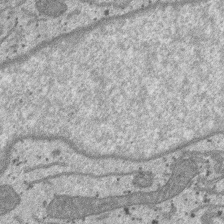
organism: Human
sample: Lung epithelial cells infected with SARS-CoV-2